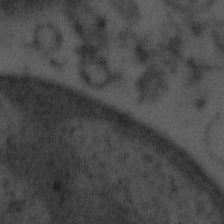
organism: Tuwongella immobilis